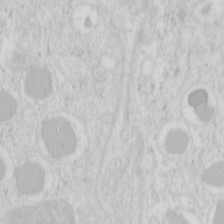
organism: Mouse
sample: Pancreas